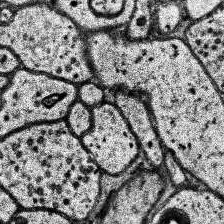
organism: Human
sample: Temporal Lobe